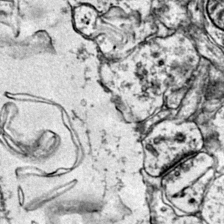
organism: Mouse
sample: Primary visual cortex